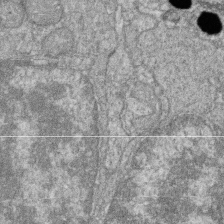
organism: Zebrafish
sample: Cilia; retinal pigment epithelium